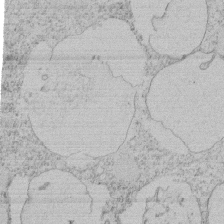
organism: Tetrahymena